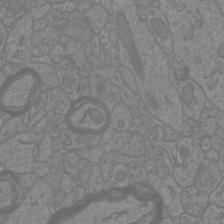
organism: Mouse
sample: Cortical neurons